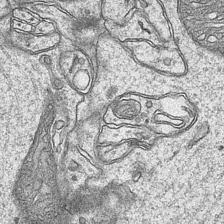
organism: Mouse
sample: CA1 Hippocampus